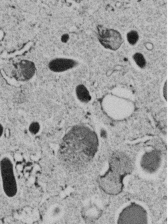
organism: C. elegans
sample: C. elegans embryo early stage